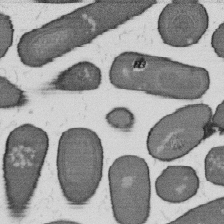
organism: B. subtilis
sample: Bacterial spore